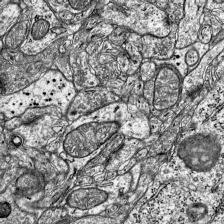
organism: Mouse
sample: Visual Cortex